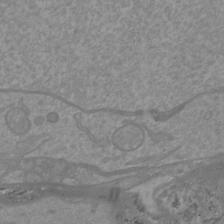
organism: Mouse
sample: Cortical neurons